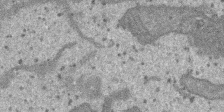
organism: Human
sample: Lung epithelial cells infected with SARS-CoV-2